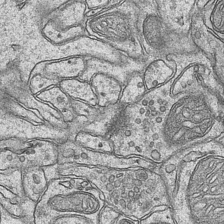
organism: Mouse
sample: CA1 Hippocampus